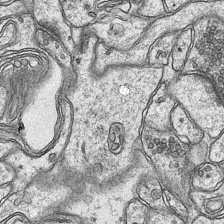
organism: Mouse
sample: CA1 Hippocampus